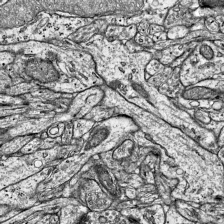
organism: Mouse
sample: Visual Cortex